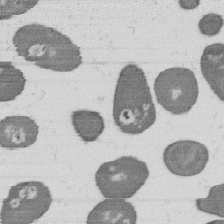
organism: B. subtilis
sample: Bacterial spore